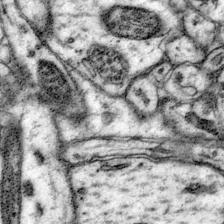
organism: Mouse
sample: Primary visual cortex